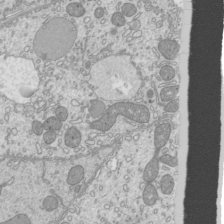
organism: Mouse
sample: Cilia; mouse epididymis